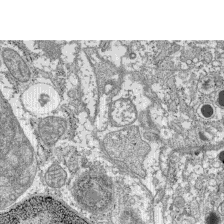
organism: C57BL Mouse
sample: Pancreatic islet